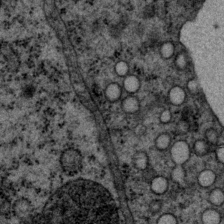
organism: P. pacificus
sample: Pharynx